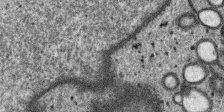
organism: Human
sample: Lung epithelial cells infected with SARS-CoV-2